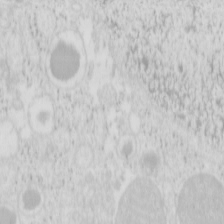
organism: Mouse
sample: Pancreas